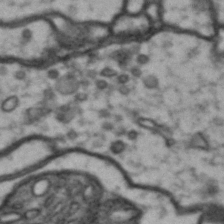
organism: Drosophila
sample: Brain